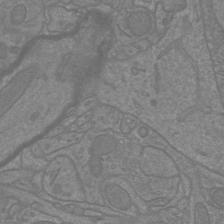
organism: Mouse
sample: Cortical neurons